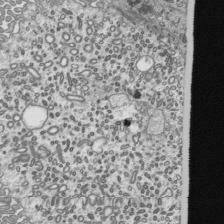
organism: Mouse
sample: Mouse epididymis efferent ductule cilia